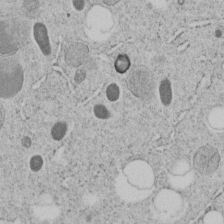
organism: C. elegans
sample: C. elegans embryo early stage